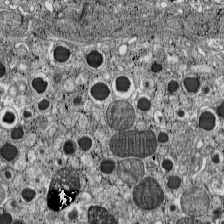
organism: C57BL Mouse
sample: Pancreatic islet